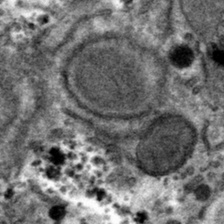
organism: Mouse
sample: Mouse hepatocytes